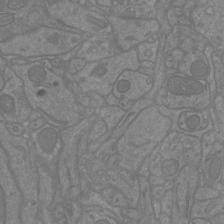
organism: Mouse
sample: Cortical neurons